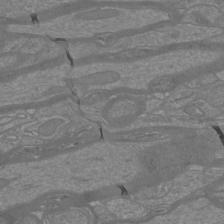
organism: Mouse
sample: Cortical neurons